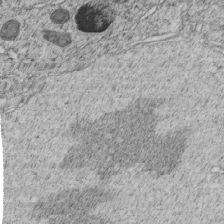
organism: C. elegans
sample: C. elegans embryo early stage